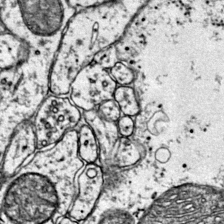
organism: Mouse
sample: Primary visual cortex